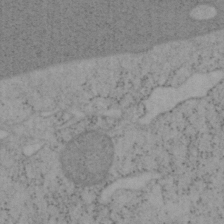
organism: Mouse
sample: OT-I killer T cells with ID8 ovarian cancer cells